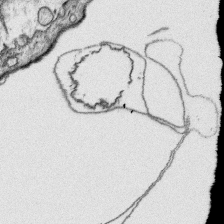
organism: Platynereis dumerilii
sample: Parapodia